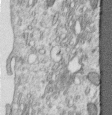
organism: Human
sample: Centriole in RPE cells